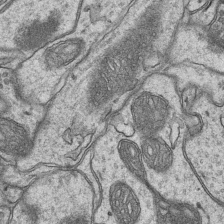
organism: Mouse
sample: CA1 Hippocampus